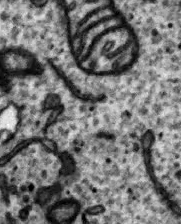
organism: Human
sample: HeLa cells